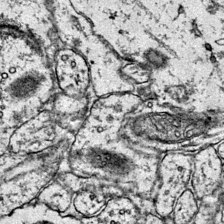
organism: Mouse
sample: Primary visual cortex